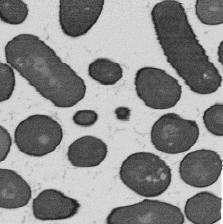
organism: B. subtilis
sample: Bacterial spore